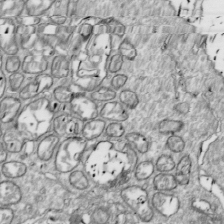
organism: Drosophila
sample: Cell division; meiosis; drosophila spermatocytes